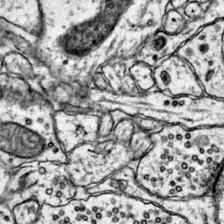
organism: Mouse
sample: Primary visual cortex